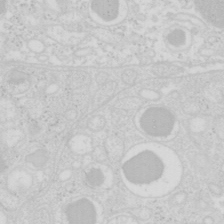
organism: Mouse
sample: Pancreas